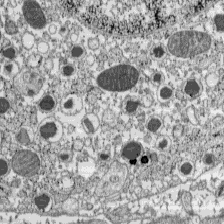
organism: C57BL Mouse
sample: Pancreatic islet